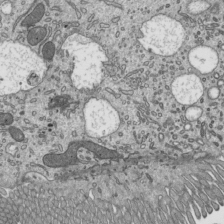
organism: Mouse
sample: Mouse epididymis efferent ductule cilia